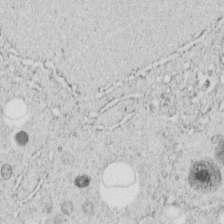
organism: C. elegans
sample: C. elegans embryo early stage